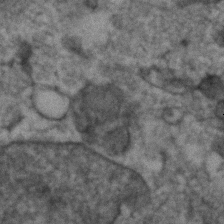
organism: Human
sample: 1205lu cells